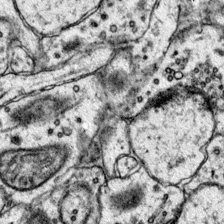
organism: Mouse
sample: Primary visual cortex